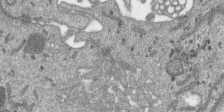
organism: Human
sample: Lung epithelial cells infected with SARS-CoV-2